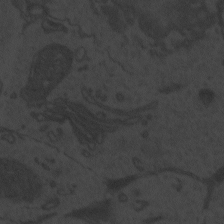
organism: Zebrafish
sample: Macrophage infected with Toxoplasma gondii